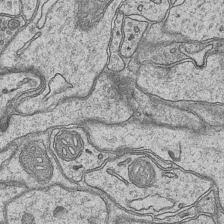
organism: Mouse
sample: CA1 Hippocampus